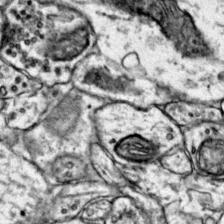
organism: Mouse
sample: Primary visual cortex